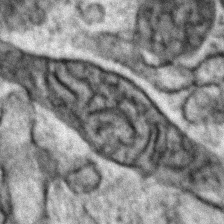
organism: Zebrafish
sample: Zebrafish embryo